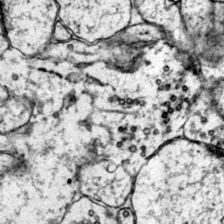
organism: Mouse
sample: Primary visual cortex